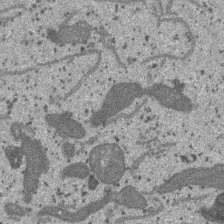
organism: Human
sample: Lung epithelial cells infected with SARS-CoV-2